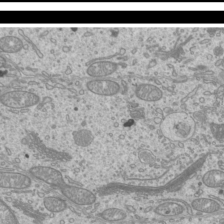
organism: Mouse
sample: Cilia; mouse epididymis